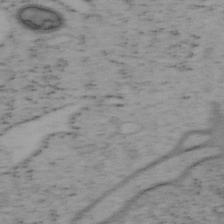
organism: Mouse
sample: OT-I killer T cells with ID8 ovarian cancer cells